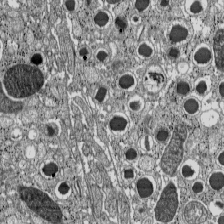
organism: C57BL Mouse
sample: Pancreatic islet